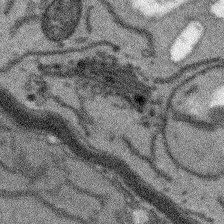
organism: Arabidopsis thaliana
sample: Root tip